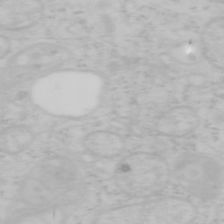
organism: Mouse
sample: OT-I killer T cells with ID8 ovarian cancer cells